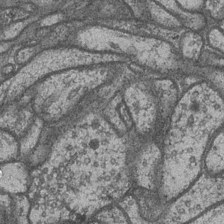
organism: Drosophila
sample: Optic medulla